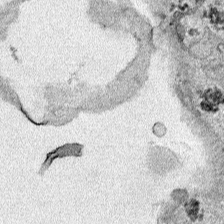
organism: Human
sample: Mitochondria in HCT116 cells